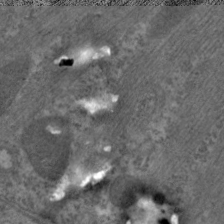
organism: C. elegans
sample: Pharynx